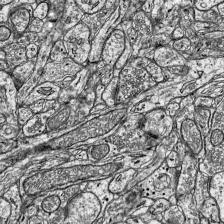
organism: Mouse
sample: Visual Cortex